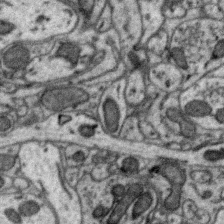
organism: Zebra finch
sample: Brain